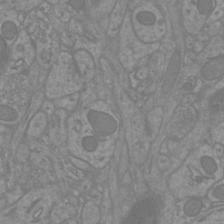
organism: Mouse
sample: Cortical neurons